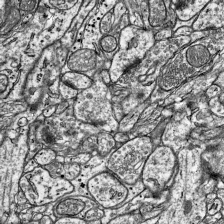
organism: Mouse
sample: Visual Cortex